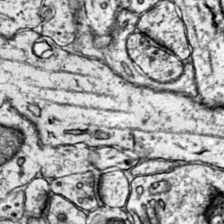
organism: Mouse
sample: Primary visual cortex